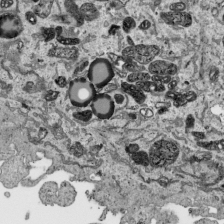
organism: Human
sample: Mitochondria in HCT116 cells